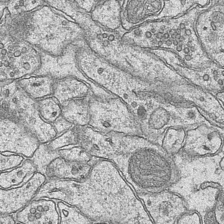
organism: Mouse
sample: CA1 Hippocampus